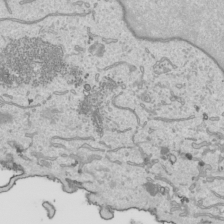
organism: Human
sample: Mitochondria in HCT116 cells